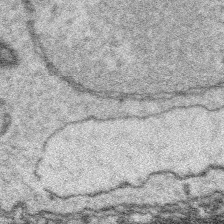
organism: Platynereis dumerilii